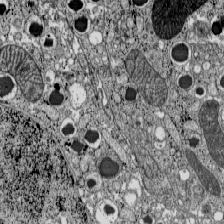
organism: C57BL Mouse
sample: Pancreatic islet